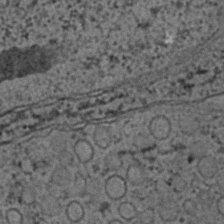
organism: C. elegans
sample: C. elegans embryo